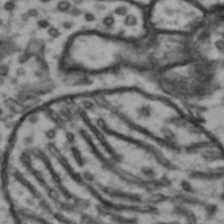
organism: Drosophila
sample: Brain